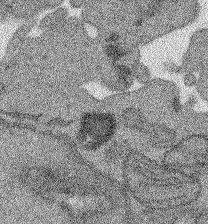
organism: Human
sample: HeLa cells